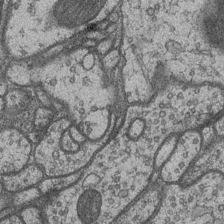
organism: Drosophila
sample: Optic medulla